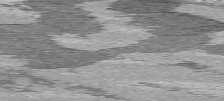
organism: C57BL Mouse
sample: Heart